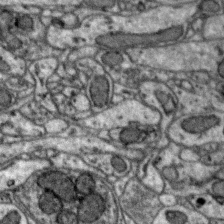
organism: Zebra finch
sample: Brain